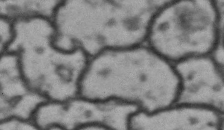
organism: Drosophila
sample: Brain